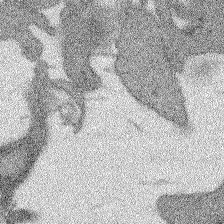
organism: Human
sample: HeLa cells